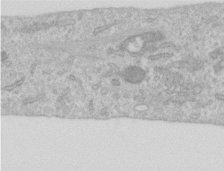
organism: Human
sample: Centriole in RPE cells